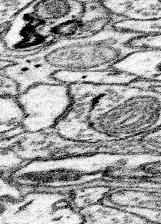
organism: Mouse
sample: Somatosensory cortex neuropil